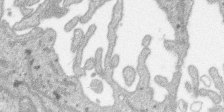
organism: Human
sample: Lung epithelial cells infected with SARS-CoV-2